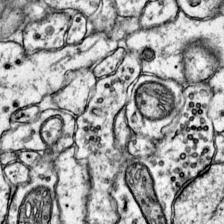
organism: Mouse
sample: Primary visual cortex